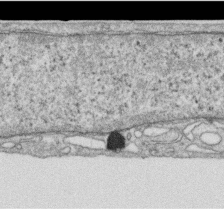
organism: Human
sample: Centriole in RPE cells